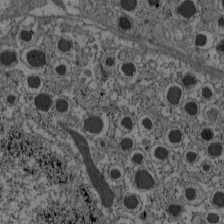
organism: C57BL Mouse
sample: Pancreatic islet